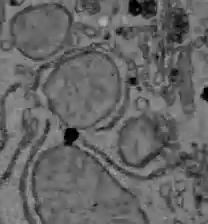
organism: C57BL Mouse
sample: Liver